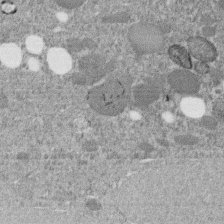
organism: C. elegans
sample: C. elegans embryo early stage